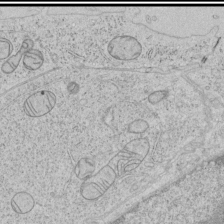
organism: Human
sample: Mitochondria in HCT116 cells